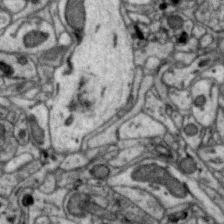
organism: Zebra finch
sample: Brain